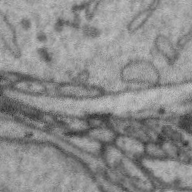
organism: Zebra finch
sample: Brain